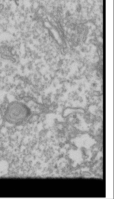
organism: Drosophila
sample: Cell division; meiosis; drosophila spermatocytes